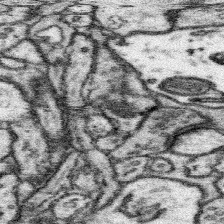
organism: Mouse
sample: Somatosensory cortex neuropil